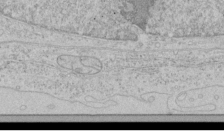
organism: Human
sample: Mitochondria in HCT116 cells